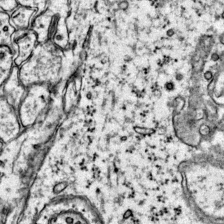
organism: Mouse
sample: Primary visual cortex